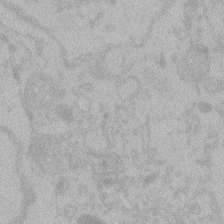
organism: Zebrafish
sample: Macrophage infected with Toxoplasma gondii